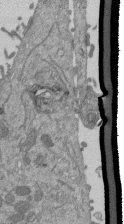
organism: Mouse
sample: ED-1 cell nuclei; centrioles